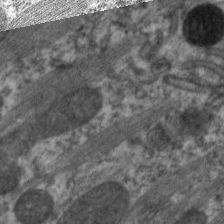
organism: C. elegans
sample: Pharynx